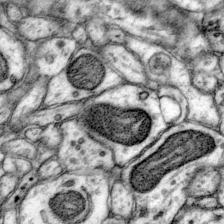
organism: Mouse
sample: Primary visual cortex